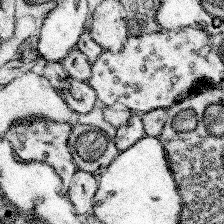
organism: Mouse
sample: Somatosensory cortex neuropil